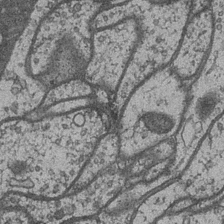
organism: Drosophila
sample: Optic medulla